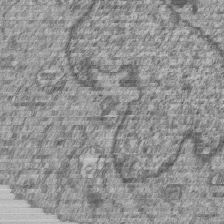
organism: Human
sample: MDA-MB-231 cells